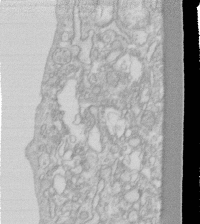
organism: Human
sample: Fibroblast cells